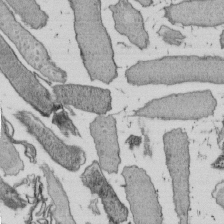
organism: E. coli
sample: Bacterial nucleoid